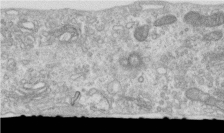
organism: Human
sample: Centriole in RPE cells